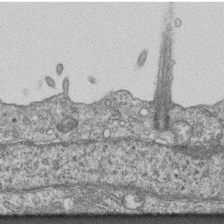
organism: Mouse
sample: Centriole in ependymal cells